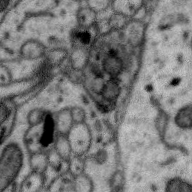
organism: Zebra finch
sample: Brain